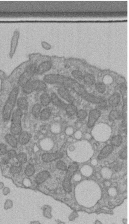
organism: Human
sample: Retinal organoid Rod and Cone cells